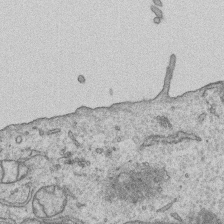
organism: Human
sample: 1205lu cells